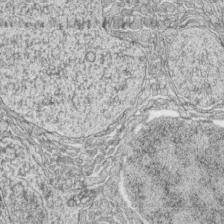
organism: Zebrafish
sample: synaptic ribbons in rod cells and cone cells